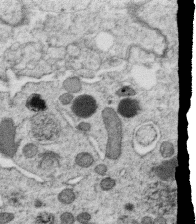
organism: C. elegans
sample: C. elegans oocyte; sperm cells